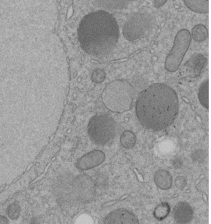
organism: C. elegans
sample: C. elegans embryo early stage